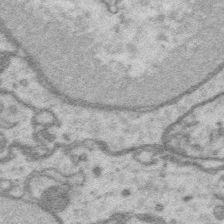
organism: Platynereis dumerilii